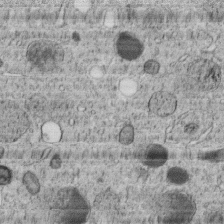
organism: C. elegans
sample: C. elegans embryo early stage